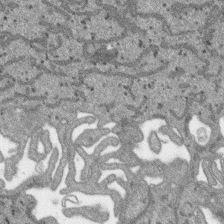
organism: Human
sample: Lung epithelial cells infected with SARS-CoV-2